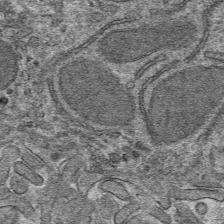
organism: Mouse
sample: Mouse hepatocytes